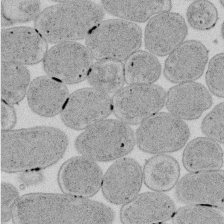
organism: E. coli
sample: Bacterial nucleoid